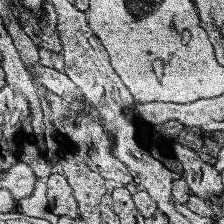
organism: Human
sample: Temporal Lobe